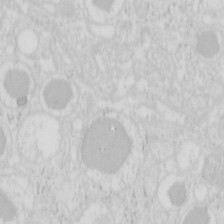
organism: Mouse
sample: Pancreas